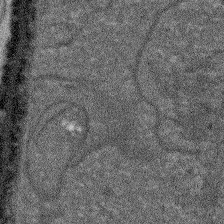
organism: Arabidopsis thaliana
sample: Root tip